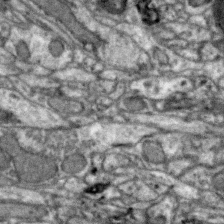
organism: Zebra finch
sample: Brain